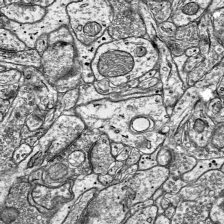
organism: Mouse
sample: Visual Cortex